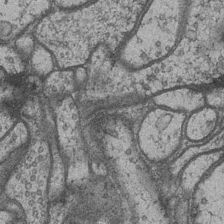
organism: Drosophila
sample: Optic medulla